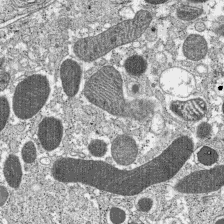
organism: C57BL Mouse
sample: Pancreatic islet